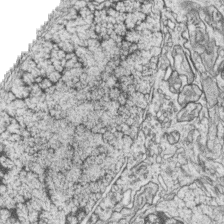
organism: Zebrafish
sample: synaptic ribbons in rod cells and cone cells